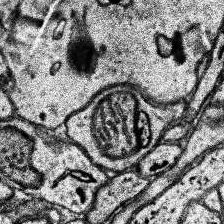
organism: Human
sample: Temporal Lobe